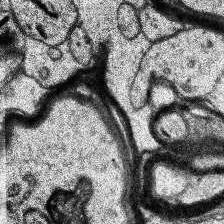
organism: Human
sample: Temporal Lobe